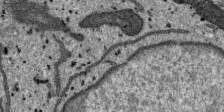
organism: Human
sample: Lung epithelial cells, uninfected (mock) control